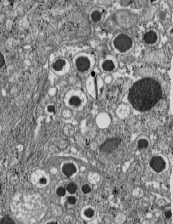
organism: C57BL Mouse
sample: Pancreatic islet